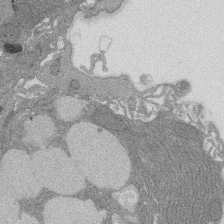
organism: Rat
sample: Salivary granule